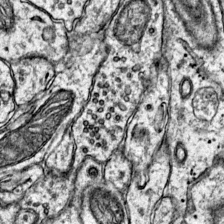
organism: Mouse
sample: Primary visual cortex